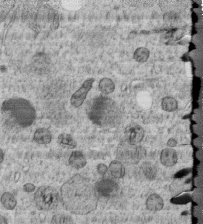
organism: C. elegans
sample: C. elegans embryo early stage